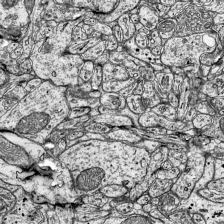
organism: Mouse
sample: Visual Cortex